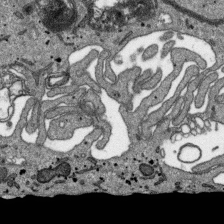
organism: Human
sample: Lung epithelial cells, uninfected (mock) control